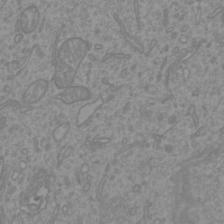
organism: Mouse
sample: Cortical neurons